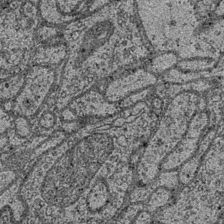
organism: Drosophila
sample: Optic medulla